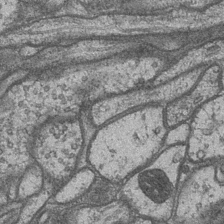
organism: Drosophila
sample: Optic medulla